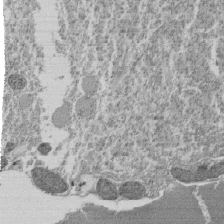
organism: Tetrahymena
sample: Cilia in tetrahymena